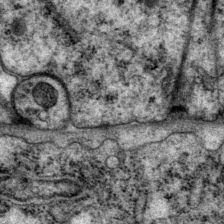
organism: P. pacificus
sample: Pharynx